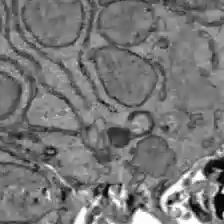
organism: C57BL Mouse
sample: Liver